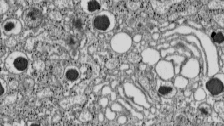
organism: C57BL Mouse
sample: Pancreatic islet